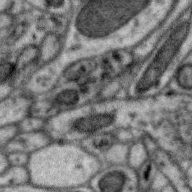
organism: Zebra finch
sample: Brain